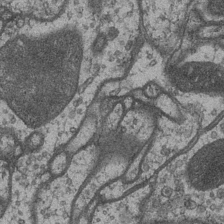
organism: Drosophila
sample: Optic medulla